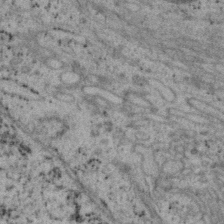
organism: Human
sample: HeLa cells